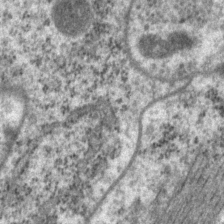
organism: P. pacificus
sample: Pharynx